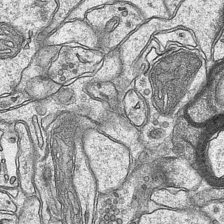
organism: Mouse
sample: CA1 Hippocampus